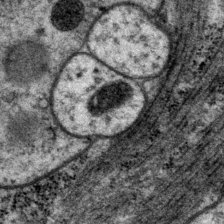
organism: P. pacificus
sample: Pharynx